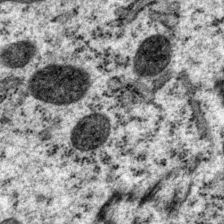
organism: P. pacificus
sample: Pharynx